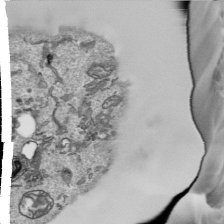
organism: Human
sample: Mitochondria in HCT116 cells